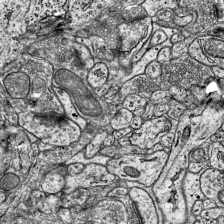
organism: Mouse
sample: Visual Cortex